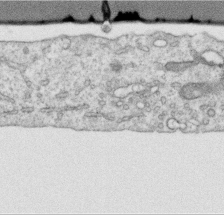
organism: Human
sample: Centriole in RPE cells